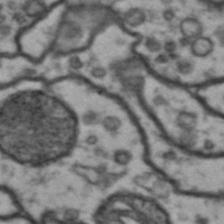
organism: Drosophila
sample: Brain